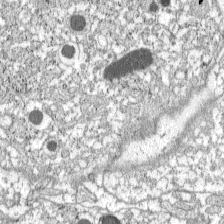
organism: C57BL Mouse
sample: Pancreatic islet